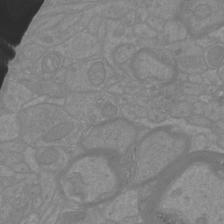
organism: Mouse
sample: Cortical neurons